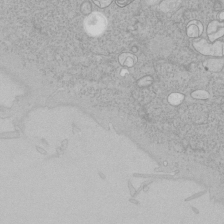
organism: Human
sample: Mitochondria in HCT116 cells